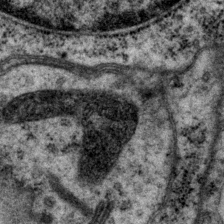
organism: P. pacificus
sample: Pharynx